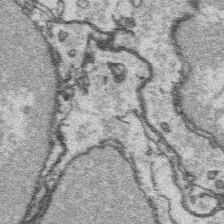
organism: Platynereis dumerilii